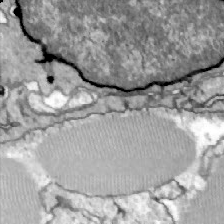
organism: Zebrafish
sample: Actinotrichia fibers